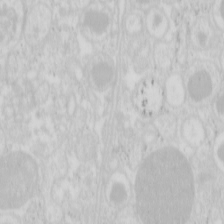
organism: Mouse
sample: Pancreas